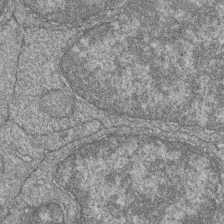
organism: Zebrafish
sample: Cilia; retinal pigment epithelium